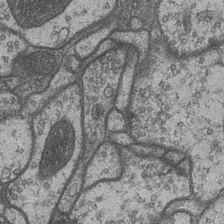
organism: Drosophila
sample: Optic medulla